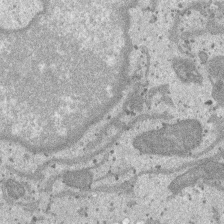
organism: Human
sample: Lung epithelial cells infected with SARS-CoV-2